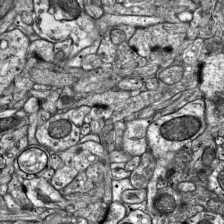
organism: Mouse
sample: Visual Cortex